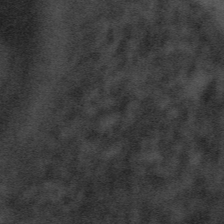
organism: Tuwongella immobilis